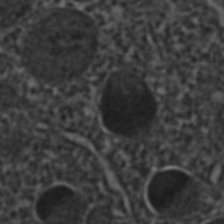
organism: C. elegans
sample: C. elegans embryo